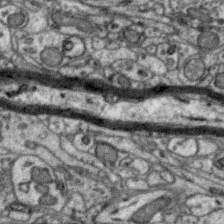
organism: Zebra finch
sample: Brain